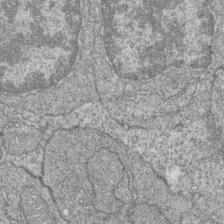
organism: Zebrafish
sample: Cilia; retinal pigment epithelium